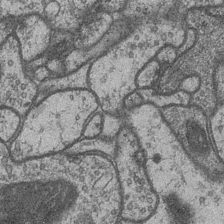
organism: Drosophila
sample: Optic medulla